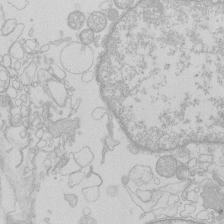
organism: Human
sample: Macrophage cells